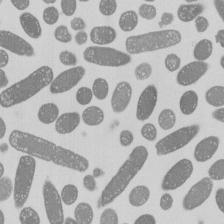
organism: E. coli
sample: Bacterial nucleoid